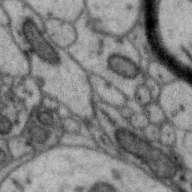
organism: Zebra finch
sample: Brain